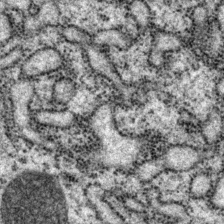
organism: P. pacificus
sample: Pharynx